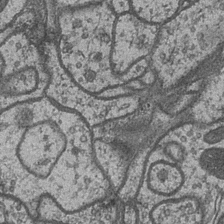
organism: Drosophila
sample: Optic medulla